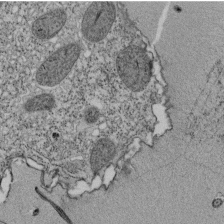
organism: Tetrahymena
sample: Cilia in tetrahymena